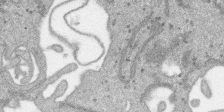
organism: Human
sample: Lung epithelial cells infected with SARS-CoV-2